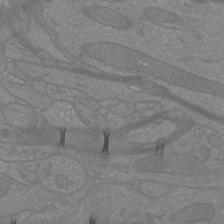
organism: Mouse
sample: Cortical neurons